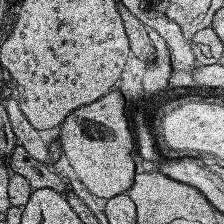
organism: Human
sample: Temporal Lobe